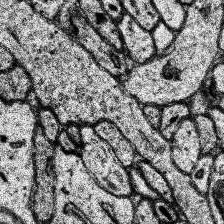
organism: Human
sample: Temporal Lobe